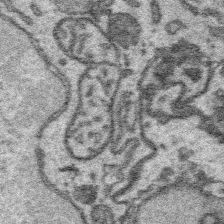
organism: Platynereis dumerilii